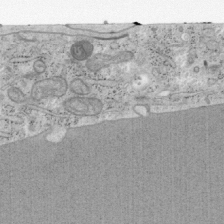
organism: Human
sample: HeLa cells